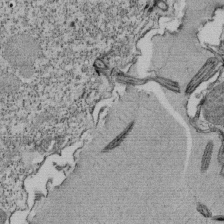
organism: Tetrahymena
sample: Cilia in tetrahymena